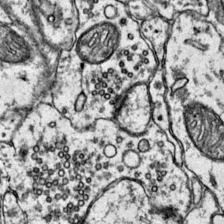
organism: Mouse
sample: Primary visual cortex